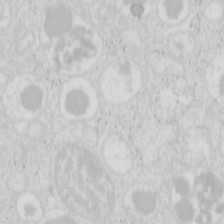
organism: Mouse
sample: Pancreas